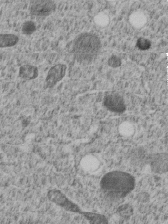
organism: C. elegans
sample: C. elegans embryo early stage